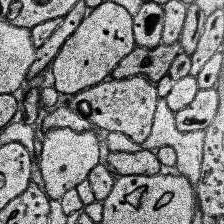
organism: Human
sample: Temporal Lobe